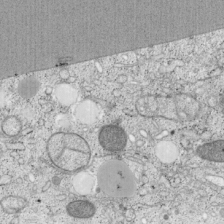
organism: African green monkey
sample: COS-7 cells